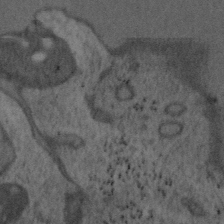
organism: Human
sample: HeLa cells